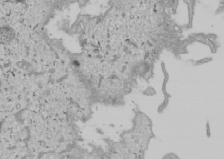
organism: Human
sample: Mitochondria in U2OS cells